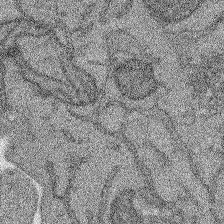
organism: Human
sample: HeLa cells